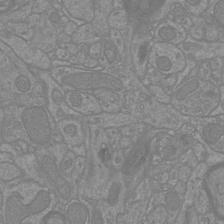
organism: Mouse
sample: Cortical neurons